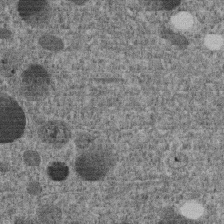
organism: C. elegans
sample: C. elegans embryo early stage